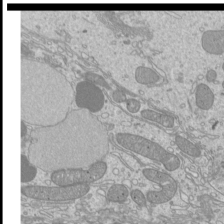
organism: Mouse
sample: Cilia; mouse epididymis